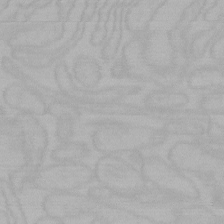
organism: Mouse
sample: Choroid plexus